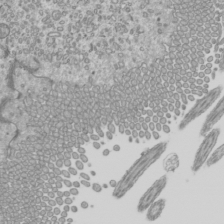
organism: Mouse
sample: Cilia; mouse epididymis